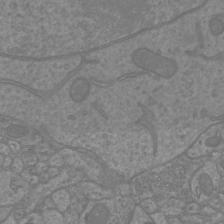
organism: Mouse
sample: Cortical neurons